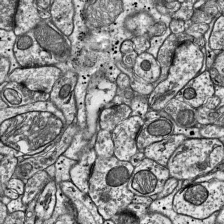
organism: Mouse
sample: Visual Cortex